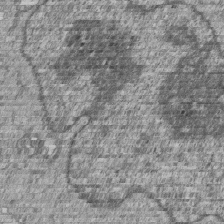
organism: Human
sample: MDA-MB-231 cells